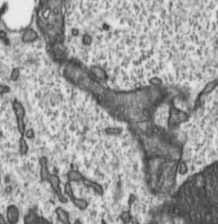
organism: Toxoplasma gondii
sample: Parasites in a vacuole inside a host cell